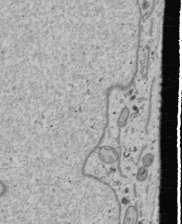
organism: Human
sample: Mitochondria in U2OS cells